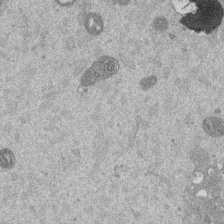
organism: Mouse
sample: Dividing mouse embryo 1 cell stage